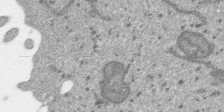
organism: Human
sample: Lung epithelial cells infected with SARS-CoV-2